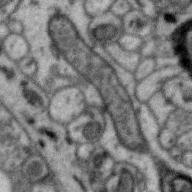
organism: Zebra finch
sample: Brain